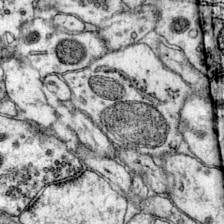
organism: Mouse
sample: Primary visual cortex